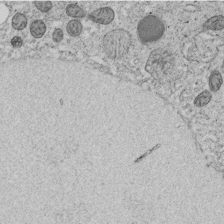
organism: C. elegans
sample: C. elegans embryo early stage